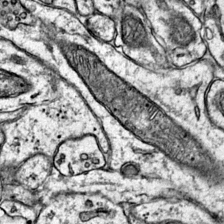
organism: Mouse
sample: Primary visual cortex